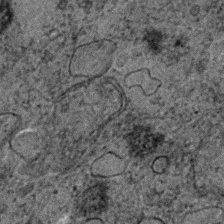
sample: Trachea